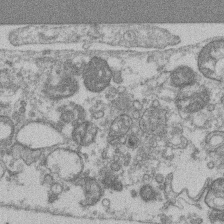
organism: Mouse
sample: T cell stromal cell synapse